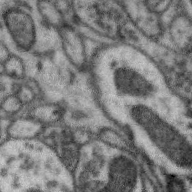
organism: Zebra finch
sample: Brain